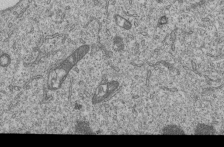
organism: Human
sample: MDA-MB-231 cells